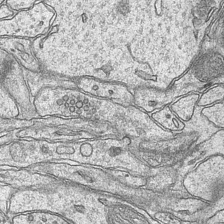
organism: Mouse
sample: CA1 Hippocampus